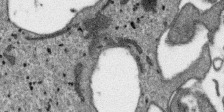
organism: Human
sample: Lung epithelial cells, uninfected (mock) control